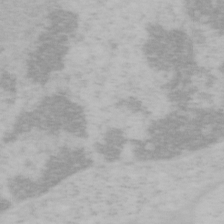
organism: Mouse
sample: OT-I killer T cells with ID8 ovarian cancer cells